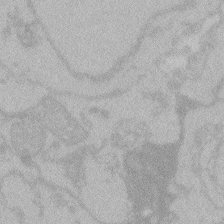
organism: Zebrafish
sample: Macrophage infected with Toxoplasma gondii